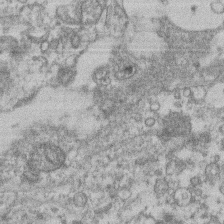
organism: Mouse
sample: T cell stromal cell synapse